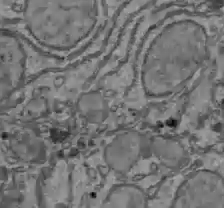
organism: C57BL Mouse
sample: Liver